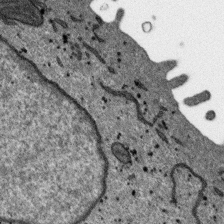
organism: Human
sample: Lung epithelial cells, uninfected (mock) control